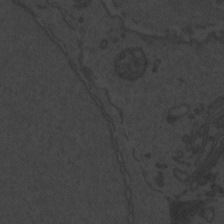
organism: Zebrafish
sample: Macrophage infected with Toxoplasma gondii